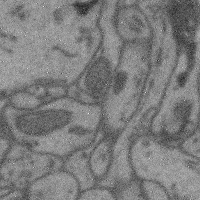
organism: Mouse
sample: Cerebral cortex